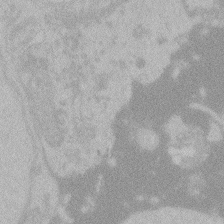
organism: Zebrafish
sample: Macrophage infected with Toxoplasma gondii